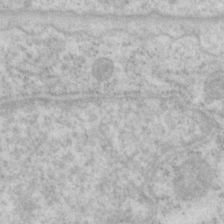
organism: P. pacificus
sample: Pharynx